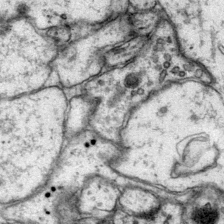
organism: Mouse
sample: Primary visual cortex